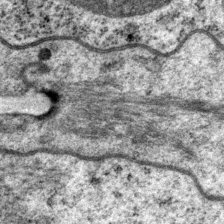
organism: P. pacificus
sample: Pharynx